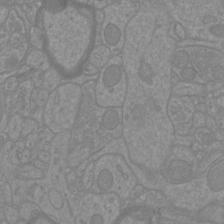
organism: Mouse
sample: Cortical neurons